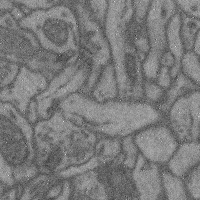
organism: Mouse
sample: Cerebral cortex